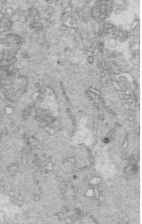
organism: Mouse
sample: Multiciliated cells